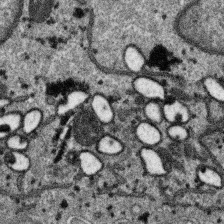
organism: Human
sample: Lung epithelial cells infected with SARS-CoV-2